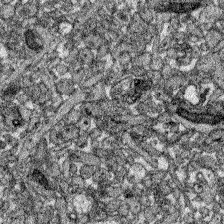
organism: Zebrafish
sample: Larval olfactory bulb